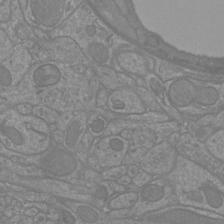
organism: Mouse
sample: Cortical neurons